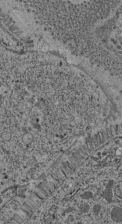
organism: C. elegans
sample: C. elegans pharynx